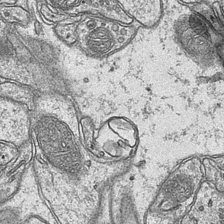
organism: Mouse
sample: CA1 Hippocampus